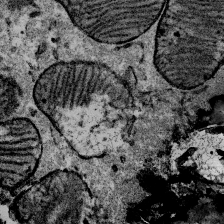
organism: Mouse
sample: Mouse Salivary gland